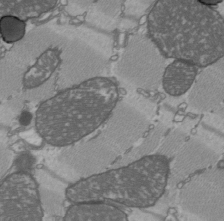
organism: C57BL Mouse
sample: Heart